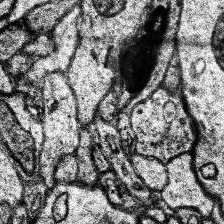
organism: Human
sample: Temporal Lobe